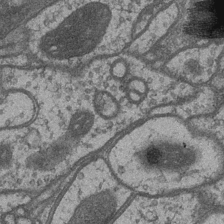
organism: Drosophila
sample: Optic medulla